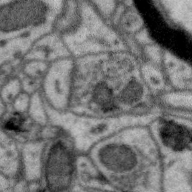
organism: Zebra finch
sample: Brain